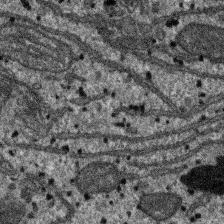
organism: Human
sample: Lung epithelial cells infected with SARS-CoV-2